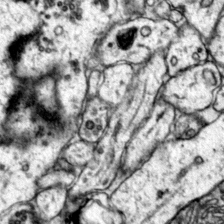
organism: Mouse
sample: Primary visual cortex